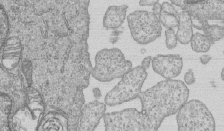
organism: Human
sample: MDA-MB-231 cells